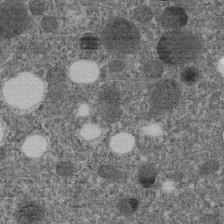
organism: C. elegans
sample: C. elegans embryo early stage